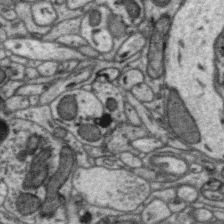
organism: Zebra finch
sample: Brain